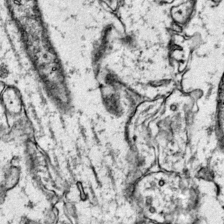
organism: Mouse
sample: Primary visual cortex